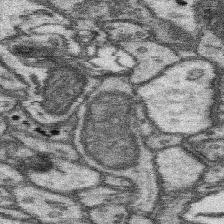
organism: Mouse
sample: Somatosensory cortex neuropil